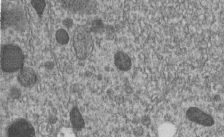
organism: C. elegans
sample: C. elegans embryo early stage